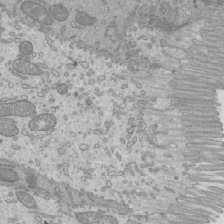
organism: Mouse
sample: Cilia; mouse epididymis